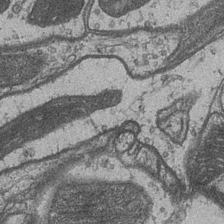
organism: Drosophila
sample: Optic medulla